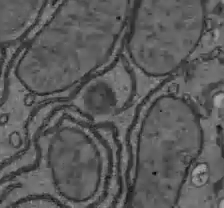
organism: C57BL Mouse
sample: Liver